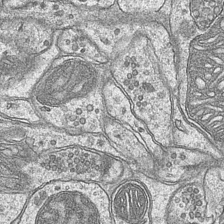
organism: Mouse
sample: CA1 Hippocampus